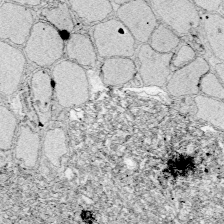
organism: Zebrafish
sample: Whole-Brain